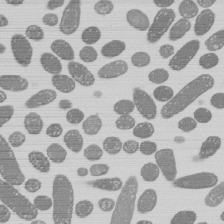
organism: E. coli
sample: Bacterial nucleoid